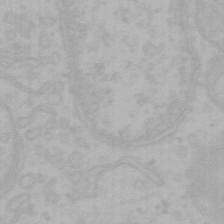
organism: Mouse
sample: Choroid plexus